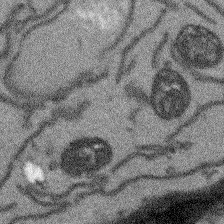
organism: Arabidopsis thaliana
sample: Root tip